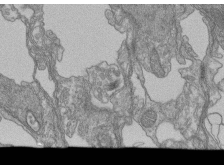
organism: Human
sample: Retinal organoid Rod and Cone cells